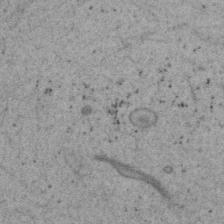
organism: Human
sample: HeLa cells